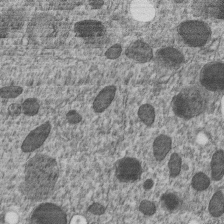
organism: C. elegans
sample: C. elegans embryo early stage